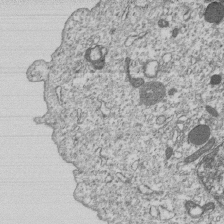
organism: Human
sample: MDA-MB-231 cells